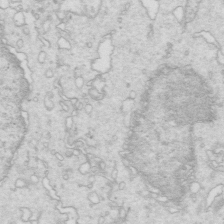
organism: Mouse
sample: Multiciliated cells